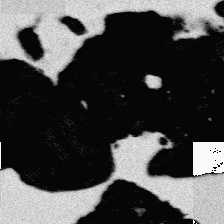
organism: Platynereis dumerilii